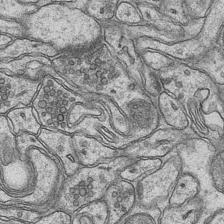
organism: Mouse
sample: CA1 Hippocampus